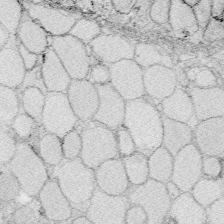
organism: Zebrafish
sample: Whole-Brain